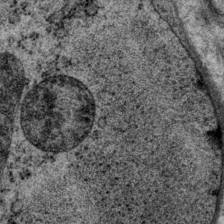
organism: P. pacificus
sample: Pharynx